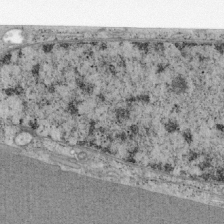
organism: Human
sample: HeLa cells